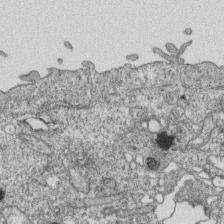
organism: Human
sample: HeLa cell HIV synapse